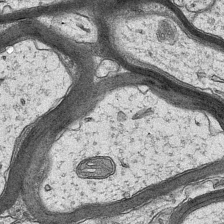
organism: Mouse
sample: CA1 Hippocampus